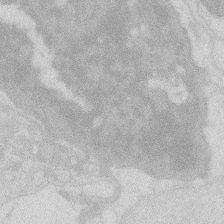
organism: Zebrafish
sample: Macrophage